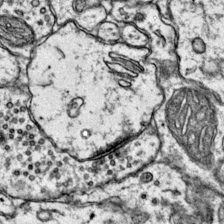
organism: Mouse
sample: Primary visual cortex